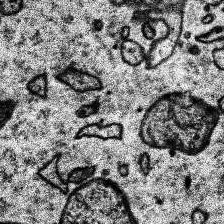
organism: Human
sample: Temporal Lobe